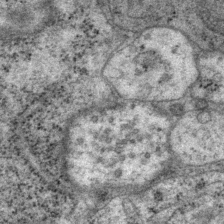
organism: P. pacificus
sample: Pharynx